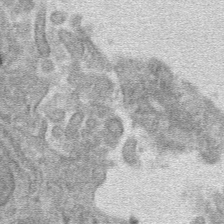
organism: Mouse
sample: Mouse hepatocytes